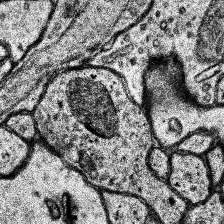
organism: Human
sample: Temporal Lobe